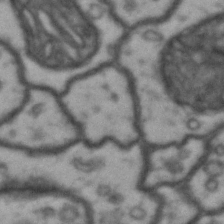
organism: Drosophila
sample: Brain